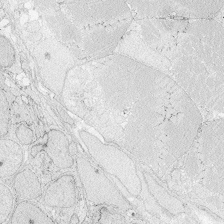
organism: Zebrafish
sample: Whole-Brain